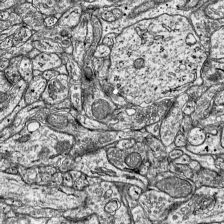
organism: Mouse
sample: Visual Cortex